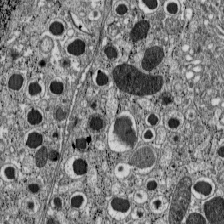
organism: C57BL Mouse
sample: Pancreatic islet